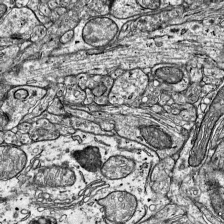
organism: Mouse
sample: Visual Cortex